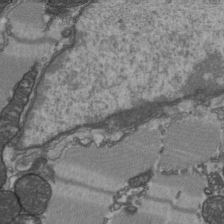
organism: C57BL Mouse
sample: Heart